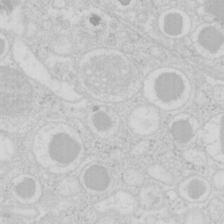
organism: Mouse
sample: Pancreas